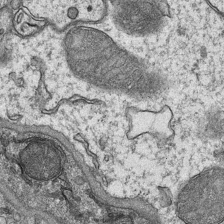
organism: Mouse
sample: CA1 Hippocampus